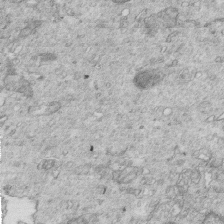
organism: Mouse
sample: Multiciliated cells